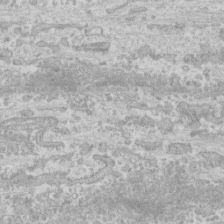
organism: Human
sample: CRL-1474